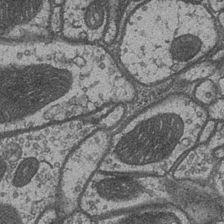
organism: Drosophila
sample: Optic medulla